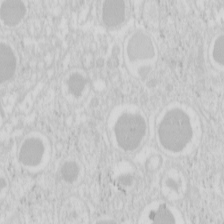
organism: Mouse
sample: Pancreas